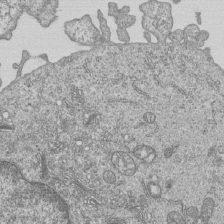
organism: Human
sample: MDA-MB-231 cells